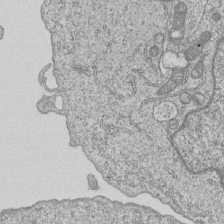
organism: Human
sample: MDA-MB-231 cells